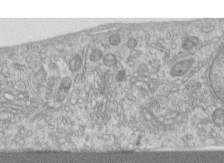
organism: Human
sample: Centriole in RPE cells